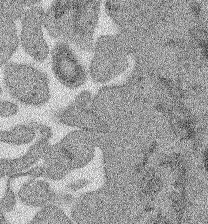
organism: Human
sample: HeLa cells